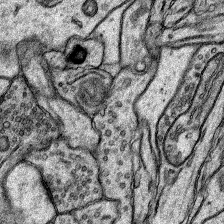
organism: Rat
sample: Hippocampus